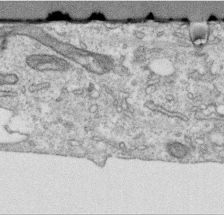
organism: Human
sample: Centriole in RPE cells